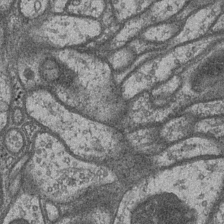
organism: Drosophila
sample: Optic medulla